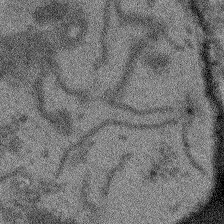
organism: Arabidopsis thaliana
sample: Root tip